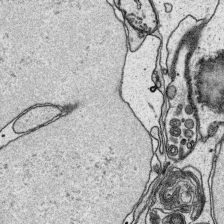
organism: Platynereis dumerilii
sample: Parapodia